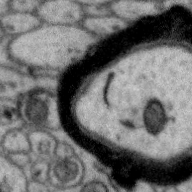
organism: Zebra finch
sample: Brain